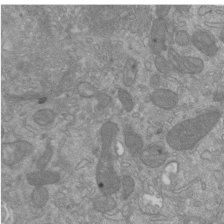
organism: Mouse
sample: ED-1 cell nuclei; centrioles